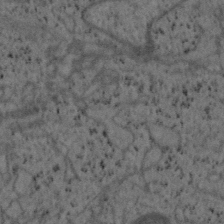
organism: Human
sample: HeLa cells